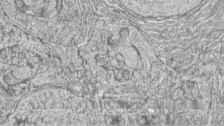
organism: Zebrafish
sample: synaptic ribbons in rod cells and cone cells